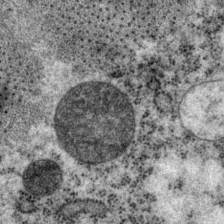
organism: P. pacificus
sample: Pharynx